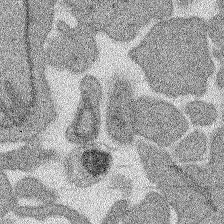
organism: Human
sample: HeLa cells